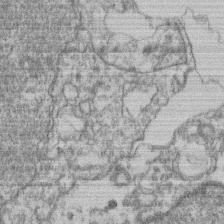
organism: Mouse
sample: T cell stromal cell synapse